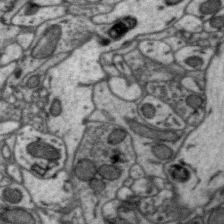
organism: Zebra finch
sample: Brain